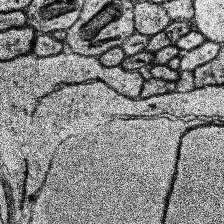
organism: Human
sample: Temporal Lobe